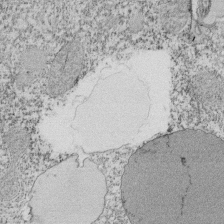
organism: Tetrahymena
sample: Cilia in tetrahymena